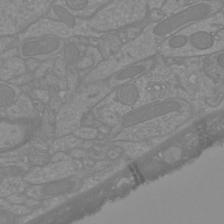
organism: Mouse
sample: Cortical neurons